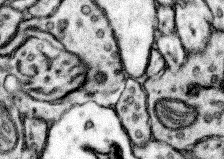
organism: Mouse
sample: Somatosensory cortex neuropil